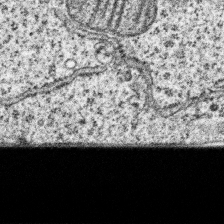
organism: Human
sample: HeLa cells